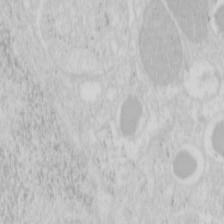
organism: Mouse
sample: Pancreas